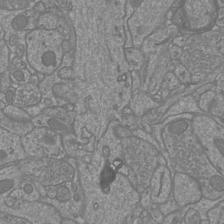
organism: Mouse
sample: Cortical neurons